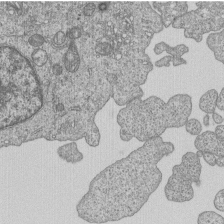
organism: Human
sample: MDA-MB-231 cells